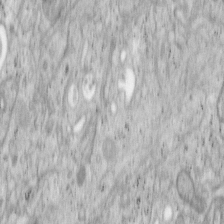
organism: Human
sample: HeLa cells